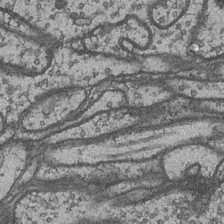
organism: Drosophila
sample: Optic medulla